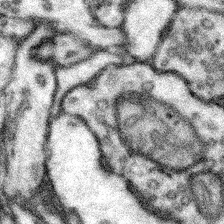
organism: Mouse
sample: Somatosensory cortex neuropil